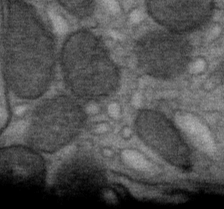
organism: Mouse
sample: Mouse Salivary gland